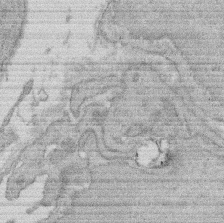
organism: Rat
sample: Salivary granule